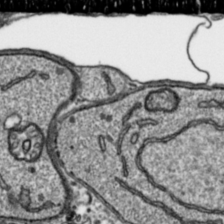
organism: Toxoplasma gondii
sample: Parasites in a vacuole inside a host cell